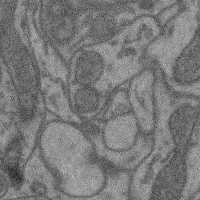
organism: Mouse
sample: Cerebral cortex